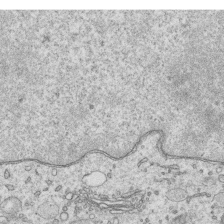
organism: Human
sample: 1205lu cells